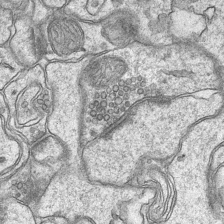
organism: Mouse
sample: CA1 Hippocampus